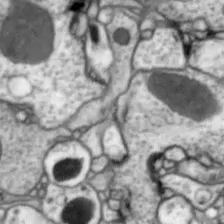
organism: Drosophila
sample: Optic lobe